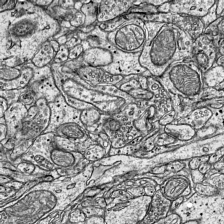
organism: Mouse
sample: Visual Cortex